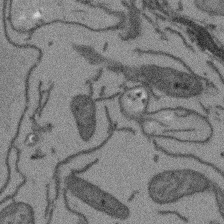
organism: Arabidopsis thaliana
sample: Root tip